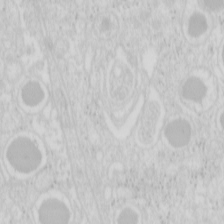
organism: Mouse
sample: Pancreas